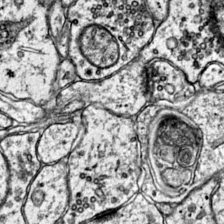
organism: Mouse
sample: Primary visual cortex